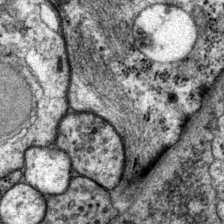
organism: P. pacificus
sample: Pharynx